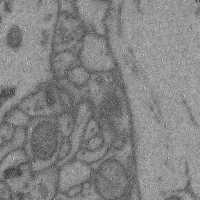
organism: Mouse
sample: Cerebral cortex